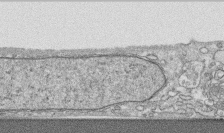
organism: Human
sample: CRL-1474